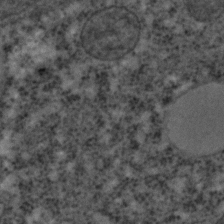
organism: C. elegans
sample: C. elegans embryo